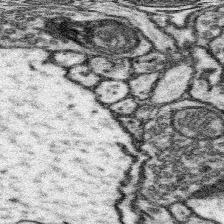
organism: Mouse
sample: Somatosensory cortex neuropil